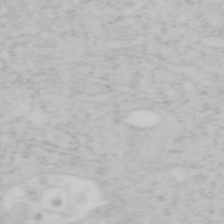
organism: Mouse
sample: OT-I killer T cells with ID8 ovarian cancer cells